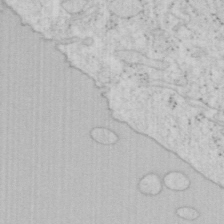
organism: Human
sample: HeLa cells